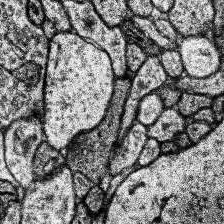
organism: Human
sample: Temporal Lobe